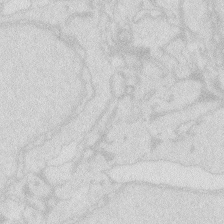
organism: Zebrafish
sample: Macrophage